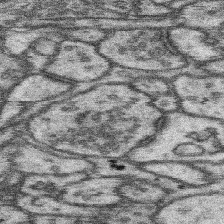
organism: Mouse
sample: Somatosensory cortex neuropil